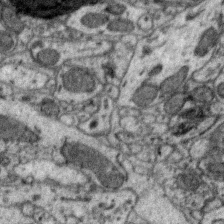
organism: Zebra finch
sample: Brain